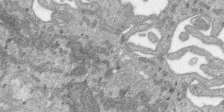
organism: Human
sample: Lung epithelial cells infected with SARS-CoV-2